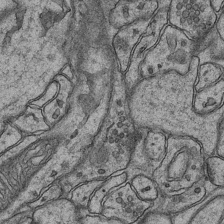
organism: Mouse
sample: CA1 Hippocampus